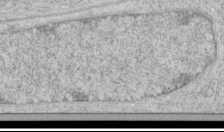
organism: Human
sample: Mitochondria in HCT116 cells